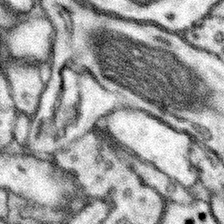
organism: Mouse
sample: Somatosensory cortex neuropil